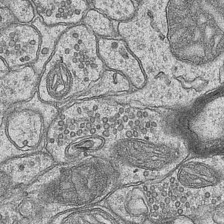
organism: Mouse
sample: CA1 Hippocampus